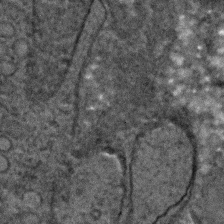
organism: C. elegans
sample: C. elegans embryo